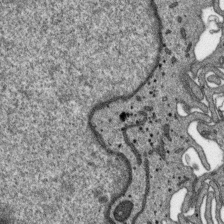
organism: Human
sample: Lung epithelial cells, uninfected (mock) control